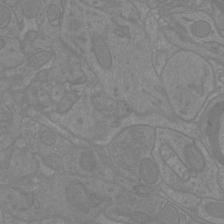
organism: Mouse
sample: Cortical neurons